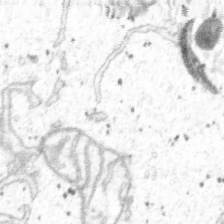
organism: Human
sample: HeLa cells